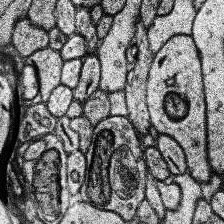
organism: Human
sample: Temporal Lobe